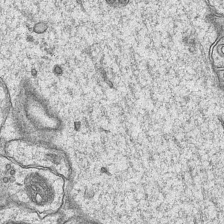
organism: Mouse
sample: CA1 Hippocampus